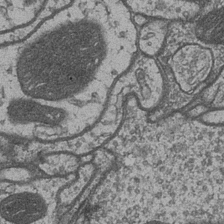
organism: Drosophila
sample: Optic medulla